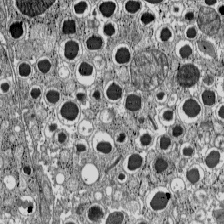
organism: C57BL Mouse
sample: Pancreatic islet